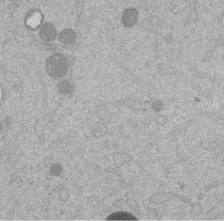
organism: Mouse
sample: Dividing mouse embryo 1 cell stage